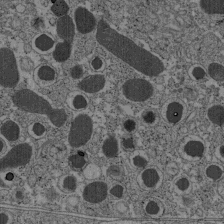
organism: C57BL Mouse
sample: Pancreatic islet